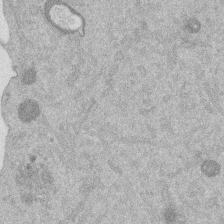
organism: Mouse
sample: Dividing mouse embryo 1 cell stage